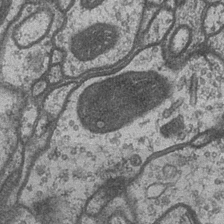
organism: Drosophila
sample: Optic medulla